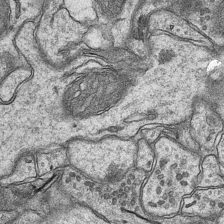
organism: Mouse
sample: CA1 Hippocampus